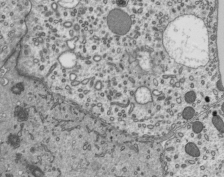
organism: Mouse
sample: Mouse epididymis efferent ductule cilia